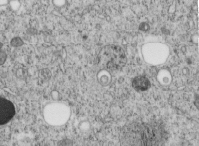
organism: C. elegans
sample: C. elegans embryo early stage